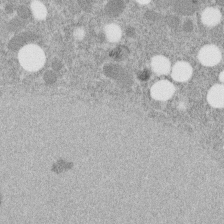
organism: C. elegans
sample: C. elegans embryo early stage